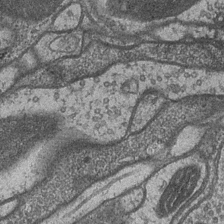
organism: Drosophila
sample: Optic medulla